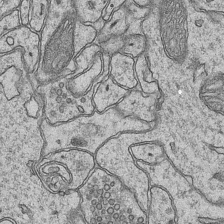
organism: Mouse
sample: CA1 Hippocampus